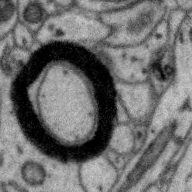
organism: Zebra finch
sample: Brain